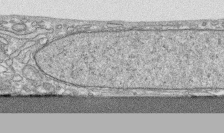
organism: Human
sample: CRL-1474